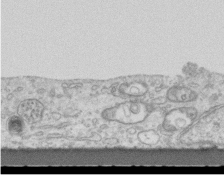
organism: Mouse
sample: Centriole in ependymal cells